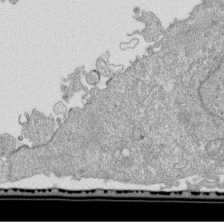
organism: Human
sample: HeLa cell HIV synapse